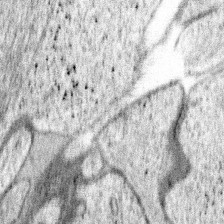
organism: Human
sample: HeLa cells